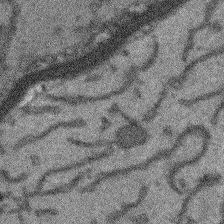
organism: Arabidopsis thaliana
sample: Root tip